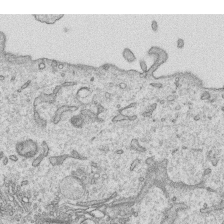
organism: Human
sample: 1205lu cells